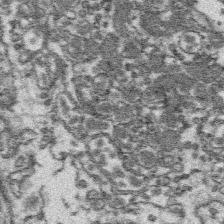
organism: Platynereis dumerilii